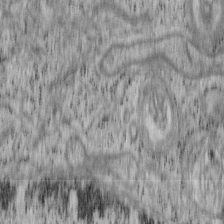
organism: Human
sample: HeLa cells